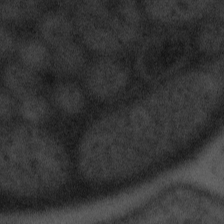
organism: Tuwongella immobilis